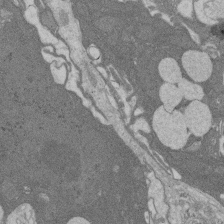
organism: Rat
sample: Salivary granule